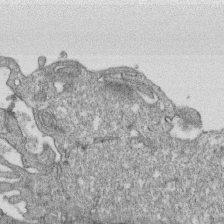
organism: African green monkey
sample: Vero E6 cells infected with SARS-CoV-2